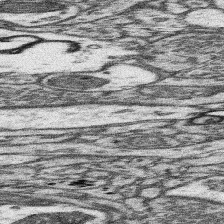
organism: Mouse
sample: Somatosensory cortex neuropil